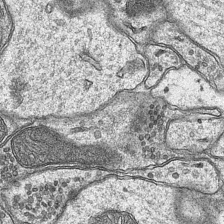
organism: Mouse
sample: CA1 Hippocampus